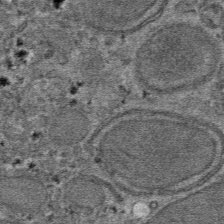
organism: Mouse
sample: Mouse hepatocytes